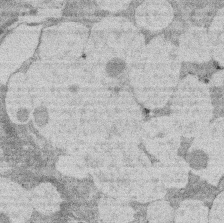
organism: Rat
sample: Salivary granule